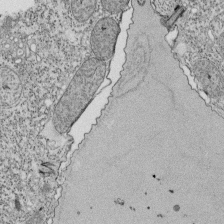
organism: Tetrahymena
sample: Cilia in tetrahymena